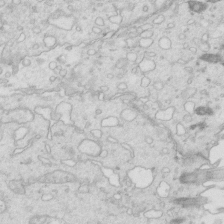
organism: Mouse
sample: Multiciliated cells